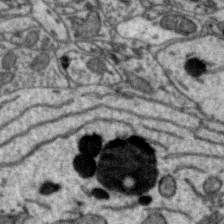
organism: Zebra finch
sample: Brain